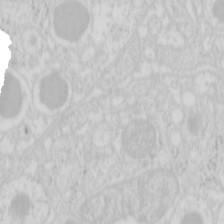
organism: Mouse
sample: Pancreas